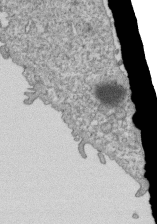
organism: Human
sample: HeLa cell HIV synapse